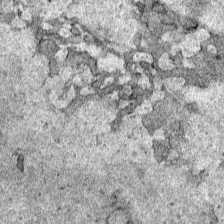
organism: Human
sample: Mitochondria in HCT116 cells